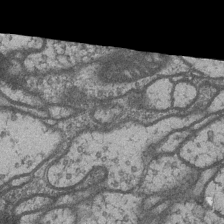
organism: Drosophila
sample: Optic medulla